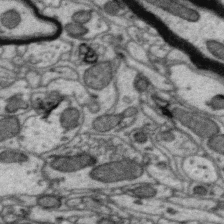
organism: Zebra finch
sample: Brain